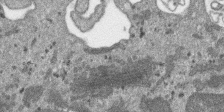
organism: Human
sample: Lung epithelial cells infected with SARS-CoV-2